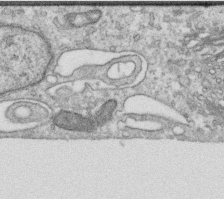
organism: Human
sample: Centriole in RPE cells